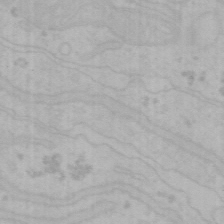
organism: Mouse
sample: Choroid plexus